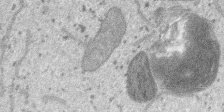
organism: Human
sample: Lung epithelial cells infected with SARS-CoV-2